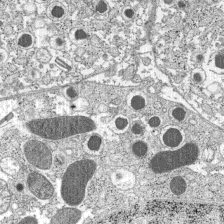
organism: C57BL Mouse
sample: Pancreatic islet